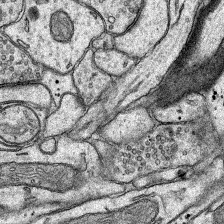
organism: Rat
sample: Hippocampus